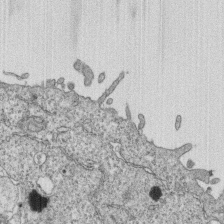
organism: Human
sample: HeLa cell HIV synapse